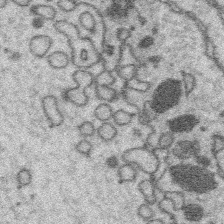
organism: Platynereis dumerilii